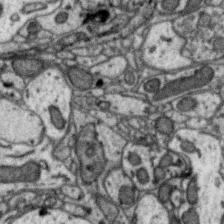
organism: Zebra finch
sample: Brain